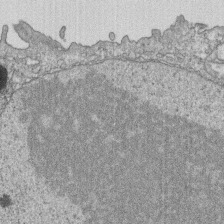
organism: Human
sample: HeLa cell HIV synapse